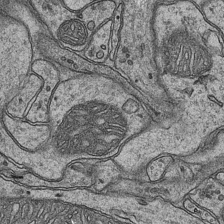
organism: Mouse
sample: CA1 Hippocampus